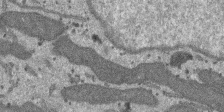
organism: Human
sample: Lung epithelial cells infected with SARS-CoV-2